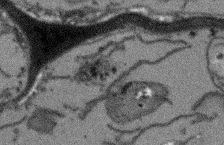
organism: Arabidopsis thaliana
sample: Root tip